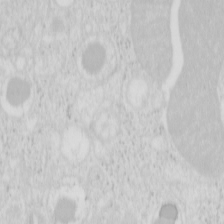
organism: Mouse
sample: Pancreas